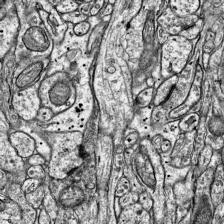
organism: Mouse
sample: Visual Cortex